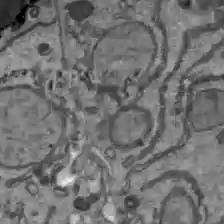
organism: C57BL Mouse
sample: Liver